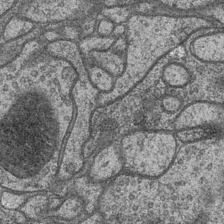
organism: Drosophila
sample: Optic medulla